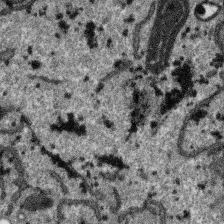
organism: Human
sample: Lung epithelial cells infected with SARS-CoV-2